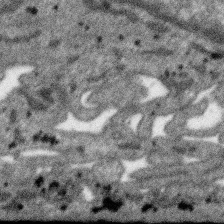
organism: Human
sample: Lung epithelial cells infected with SARS-CoV-2